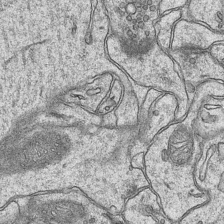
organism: Mouse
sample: CA1 Hippocampus